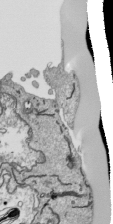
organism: Human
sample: Mitochondria in HCT116 cells